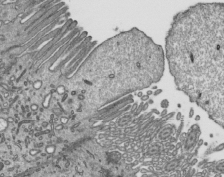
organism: Mouse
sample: Mouse epididymis efferent ductule cilia